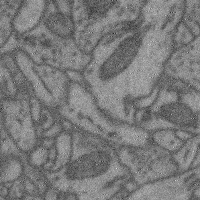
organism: Mouse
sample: Cerebral cortex